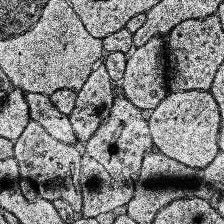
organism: Human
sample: Temporal Lobe